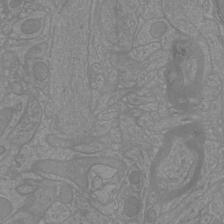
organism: Mouse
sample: Cortical neurons